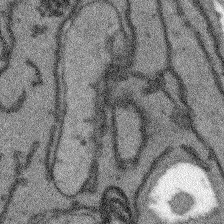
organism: Arabidopsis thaliana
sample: Root tip